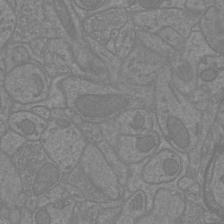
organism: Mouse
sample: Cortical neurons